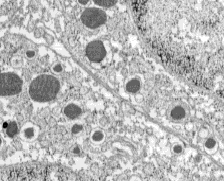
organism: C57BL Mouse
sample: Pancreatic islet